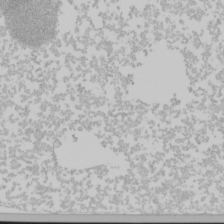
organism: Mouse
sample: Cancer cell death in ED-1 cells